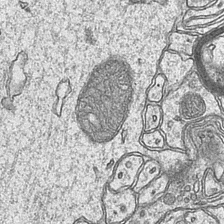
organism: Mouse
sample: CA1 Hippocampus